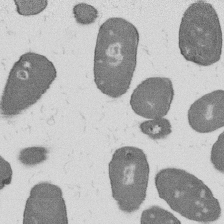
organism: B. subtilis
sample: Bacterial spore